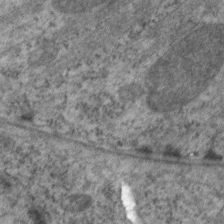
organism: C. elegans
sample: Pharynx